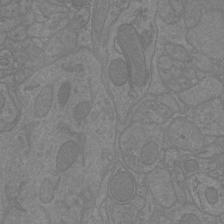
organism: Mouse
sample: Cortical neurons